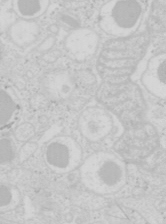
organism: Mouse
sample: Pancreas